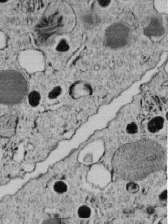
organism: C. elegans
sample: C. elegans embryo early stage